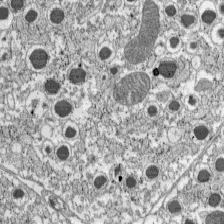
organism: C57BL Mouse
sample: Pancreatic islet